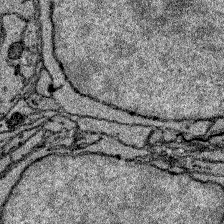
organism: Zebrafish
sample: Larval olfactory bulb